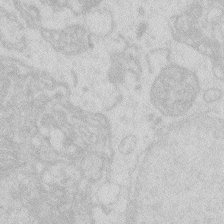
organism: Zebrafish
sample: Macrophage